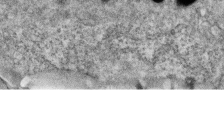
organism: Zebrafish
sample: Cilia; retinal pigment epithelium